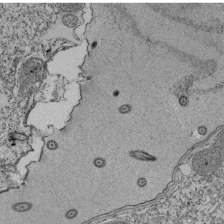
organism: Tetrahymena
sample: Cilia in tetrahymena